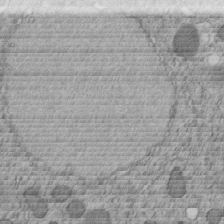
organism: C. elegans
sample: C. elegans embryo early stage